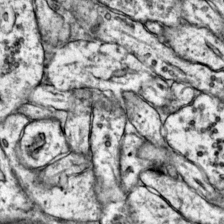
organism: Mouse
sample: Primary visual cortex